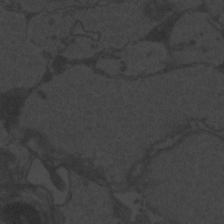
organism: Zebrafish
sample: Macrophage infected with Toxoplasma gondii